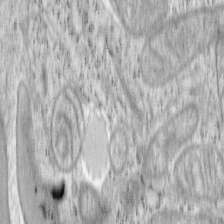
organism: Human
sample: HeLa cells